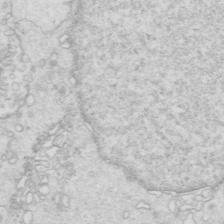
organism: Mouse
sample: Multiciliated cells